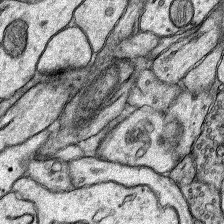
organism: Rat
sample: Hippocampus